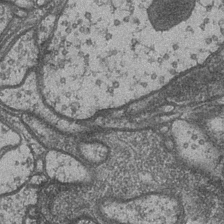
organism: Drosophila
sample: Optic medulla